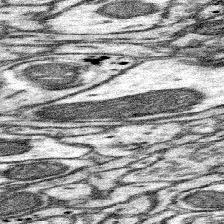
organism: Mouse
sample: Somatosensory cortex neuropil